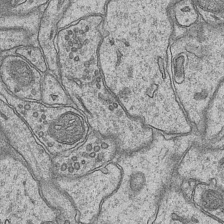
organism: Mouse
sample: CA1 Hippocampus